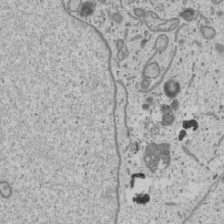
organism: Human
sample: Mitochondria in U2OS cells